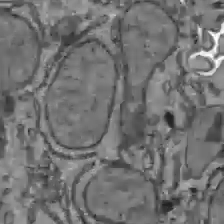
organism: C57BL Mouse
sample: Liver